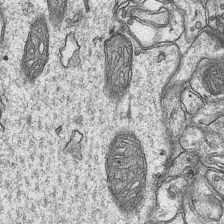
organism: Mouse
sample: CA1 Hippocampus